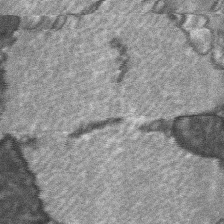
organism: C57BL Mouse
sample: Soleus